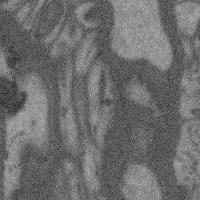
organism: Mouse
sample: Cerebral cortex